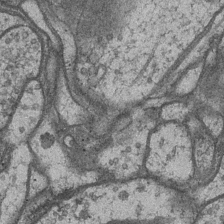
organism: Drosophila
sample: Optic medulla